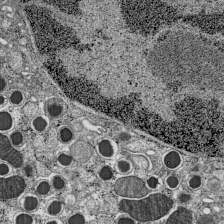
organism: C57BL Mouse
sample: Pancreatic islet